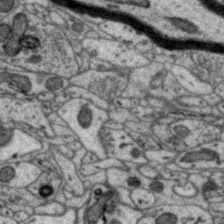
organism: Zebra finch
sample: Brain